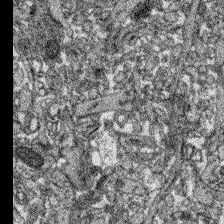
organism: Zebrafish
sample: Larval olfactory bulb